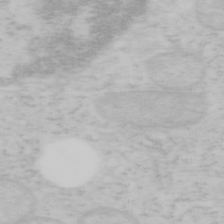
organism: Mouse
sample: OT-I killer T cells with ID8 ovarian cancer cells